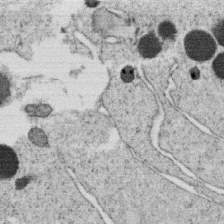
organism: C. elegans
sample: C. elegans oocyte; sperm cells